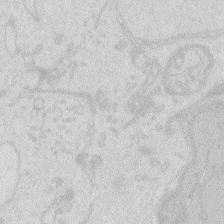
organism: Zebrafish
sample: Macrophage